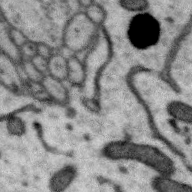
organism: Zebra finch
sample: Brain